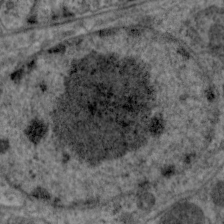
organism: C. elegans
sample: Pharynx